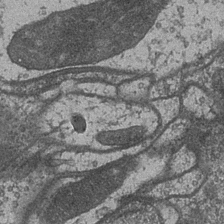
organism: Drosophila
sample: Optic medulla